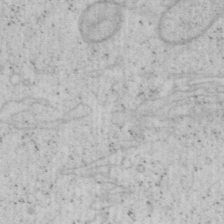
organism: Human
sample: HeLa cells